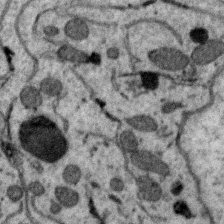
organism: Zebra finch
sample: Brain